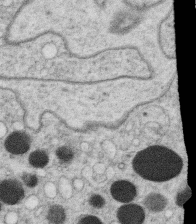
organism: C. elegans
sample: C. elegans oocyte; sperm cells